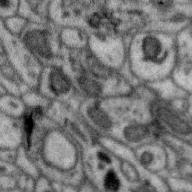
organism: Zebra finch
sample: Brain